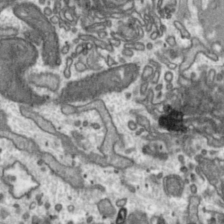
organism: Toxoplasma gondii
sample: Parasites in a vacuole inside a host cell